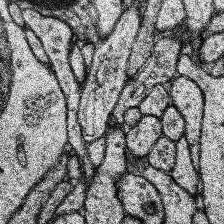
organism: Human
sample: Temporal Lobe